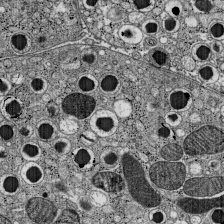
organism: C57BL Mouse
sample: Pancreatic islet